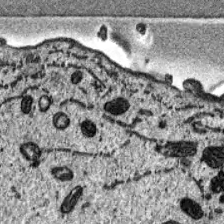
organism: Human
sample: HeLa cells